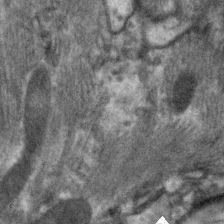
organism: C. elegans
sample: Pharynx